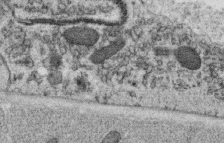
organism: C. elegans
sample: C. elegans oocyte; sperm cells